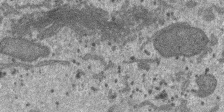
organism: Human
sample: Lung epithelial cells infected with SARS-CoV-2